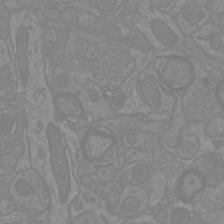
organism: Mouse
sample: Cortical neurons